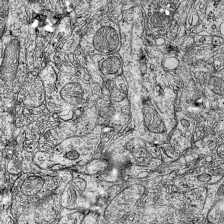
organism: Mouse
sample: Visual Cortex